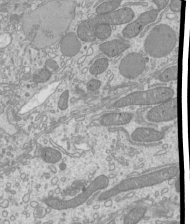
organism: Mouse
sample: Cilia; mouse epididymis